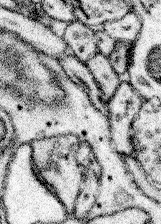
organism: Mouse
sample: Somatosensory cortex neuropil